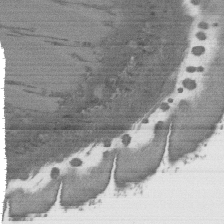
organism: C. elegans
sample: AFD neurons C. elegans